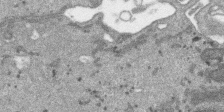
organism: Human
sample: Lung epithelial cells infected with SARS-CoV-2